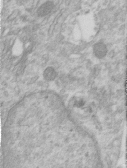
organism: Human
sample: Centriole in RPE cells